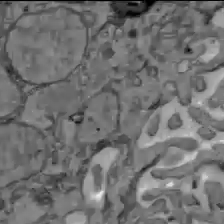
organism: C57BL Mouse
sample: Liver